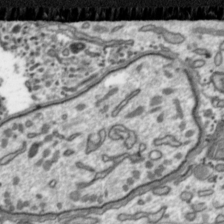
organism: Toxoplasma gondii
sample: Parasites in a vacuole inside a host cell